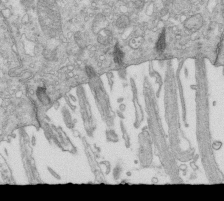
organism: Mouse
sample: Multiciliated cells